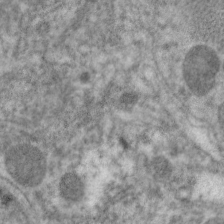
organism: C. elegans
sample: Pharynx